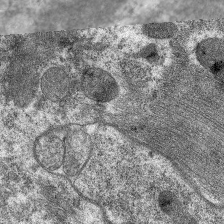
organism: C. elegans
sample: Pharynx